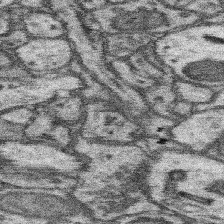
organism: Mouse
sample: Somatosensory cortex neuropil